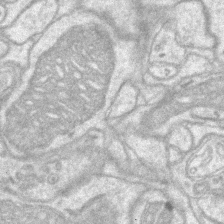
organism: Mouse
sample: CA1 Hippocampus